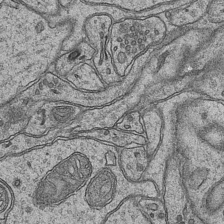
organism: Mouse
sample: CA1 Hippocampus